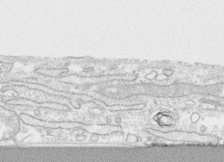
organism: Human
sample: CRL-1474